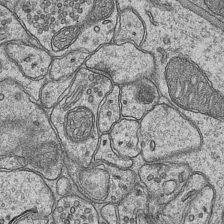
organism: Mouse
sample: CA1 Hippocampus